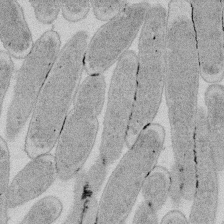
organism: E. coli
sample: Bacterial nucleoid